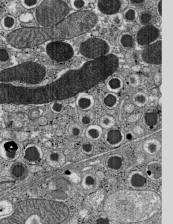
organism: C57BL Mouse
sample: Pancreatic islet